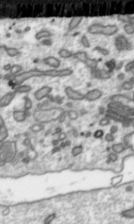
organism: Toxoplasma gondii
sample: Parasites in a vacuole inside a host cell